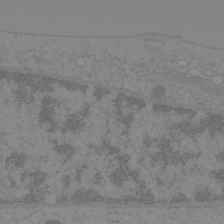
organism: Human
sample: HeLa cells